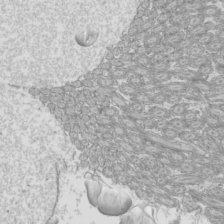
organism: Mouse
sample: Cilia; mouse epididymis